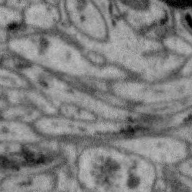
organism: Zebra finch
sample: Brain